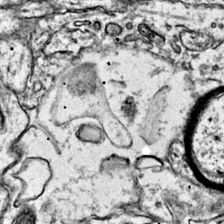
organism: Mouse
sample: Primary visual cortex